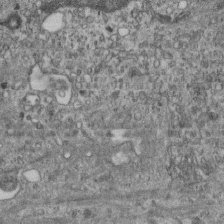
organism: Mouse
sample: Centriole in ependymal cells